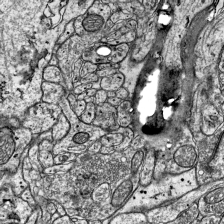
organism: Mouse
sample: Visual Cortex